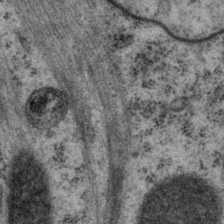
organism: P. pacificus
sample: Pharynx